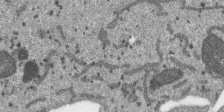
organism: Human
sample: Lung epithelial cells infected with SARS-CoV-2